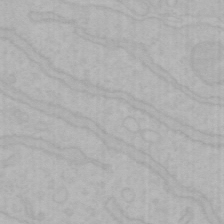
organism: Mouse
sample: Choroid plexus